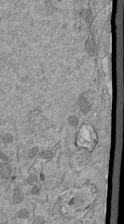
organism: Mouse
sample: ED-1 cell nuclei; centrioles